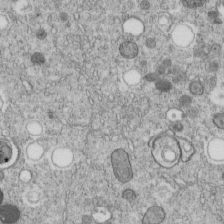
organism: C. elegans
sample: C. elegans embryo early stage